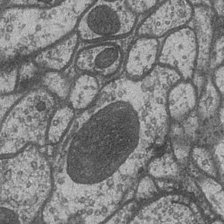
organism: Drosophila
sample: Optic medulla